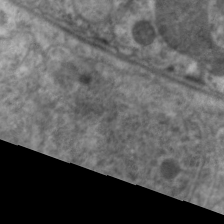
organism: C. elegans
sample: Pharynx